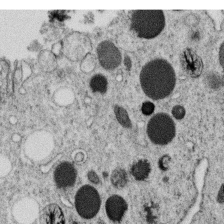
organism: C. elegans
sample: C. elegans oocyte; sperm cells